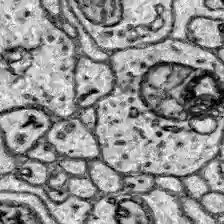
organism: Zebrafish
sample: Brain